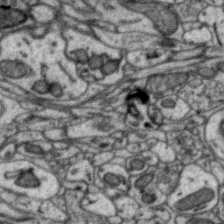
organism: Zebra finch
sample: Brain